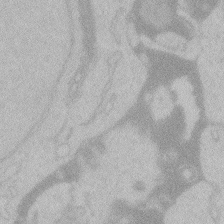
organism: Zebrafish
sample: Macrophage infected with Toxoplasma gondii